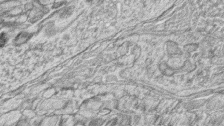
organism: Zebrafish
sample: synaptic ribbons in rod cells and cone cells